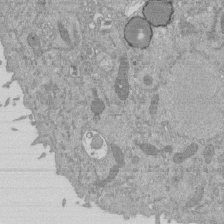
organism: Mouse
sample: ED-1 cell nuclei; centrioles